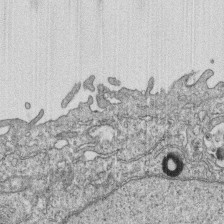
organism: Human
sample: HeLa cell HIV synapse